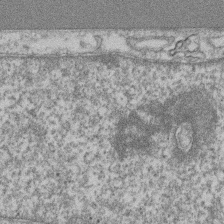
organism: Mouse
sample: T cell stromal cell synapse